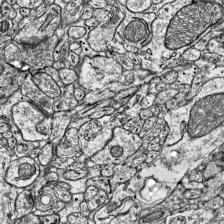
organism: Mouse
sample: Visual Cortex